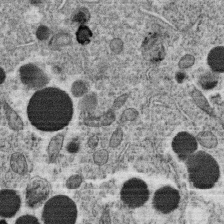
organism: C. elegans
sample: C. elegans oocyte; sperm cells